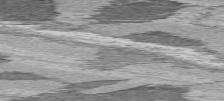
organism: C57BL Mouse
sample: Heart